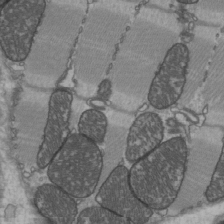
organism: C57BL Mouse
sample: Heart